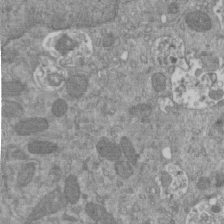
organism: Mouse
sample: ED-1 cell nuclei; centrioles